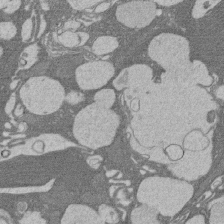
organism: Rat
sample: Salivary granule